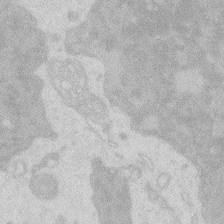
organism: Zebrafish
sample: Macrophage